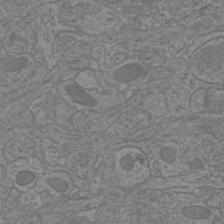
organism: Mouse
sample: Cortical neurons